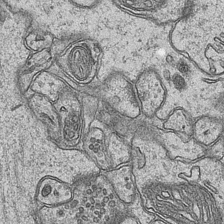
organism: Mouse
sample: CA1 Hippocampus